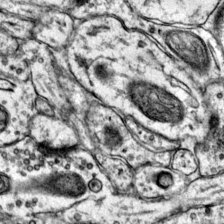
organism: Mouse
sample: Primary visual cortex